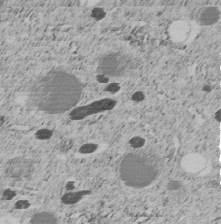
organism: C. elegans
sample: C. elegans embryo early stage